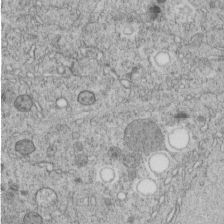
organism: C. elegans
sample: C. elegans embryo early stage